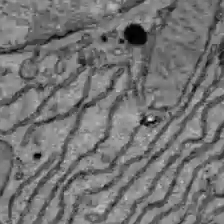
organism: C57BL Mouse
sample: Liver